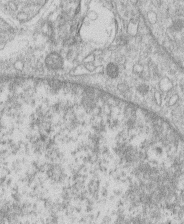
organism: Human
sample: Macrophage cells